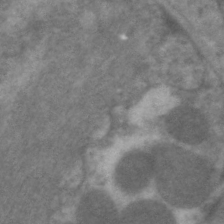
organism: C. elegans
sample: Pharynx